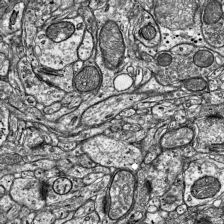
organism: Mouse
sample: Visual Cortex